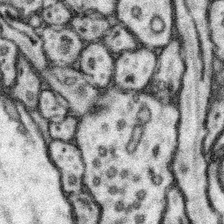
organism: Mouse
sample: Somatosensory cortex neuropil